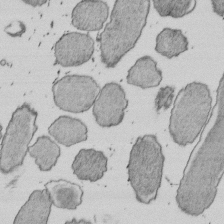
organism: E. coli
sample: Bacterial nucleoid